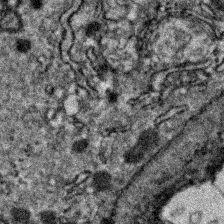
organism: Zebrafish